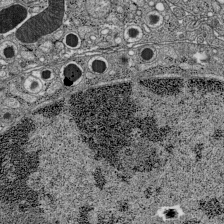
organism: C57BL Mouse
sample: Pancreatic islet